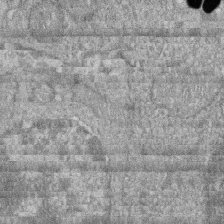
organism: Zebrafish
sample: Cilia; retinal pigment epithelium